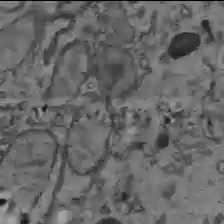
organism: C57BL Mouse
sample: Liver